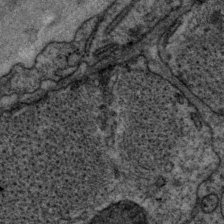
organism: P. pacificus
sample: Pharynx